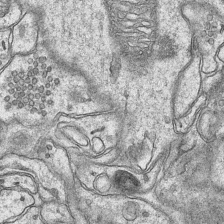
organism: Mouse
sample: CA1 Hippocampus